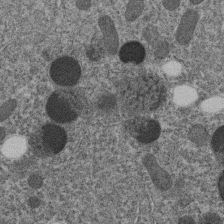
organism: C. elegans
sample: C. elegans embryo early stage